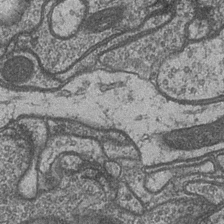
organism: Drosophila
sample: Optic medulla